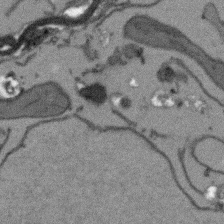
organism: Arabidopsis thaliana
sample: Root tip